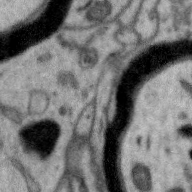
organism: Zebra finch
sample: Brain